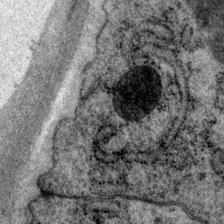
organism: P. pacificus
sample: Pharynx